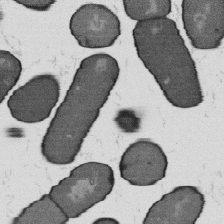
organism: B. subtilis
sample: Bacterial spore